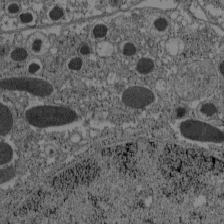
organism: C57BL Mouse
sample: Pancreatic islet